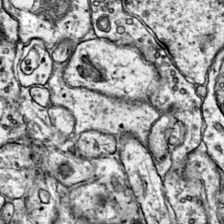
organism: Mouse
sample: Primary visual cortex